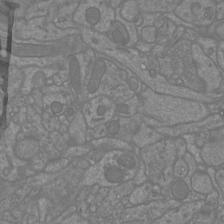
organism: Mouse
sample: Cortical neurons